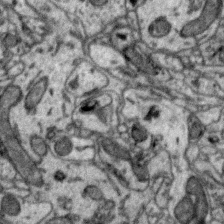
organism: Zebra finch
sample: Brain